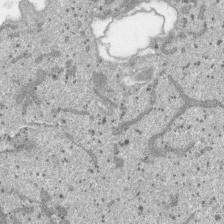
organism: Human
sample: Lung epithelial cells infected with SARS-CoV-2